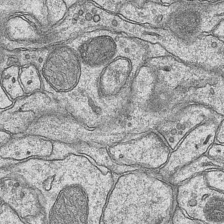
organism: Mouse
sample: CA1 Hippocampus